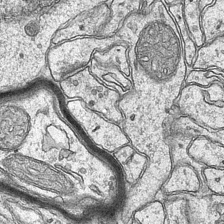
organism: Mouse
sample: CA1 Hippocampus